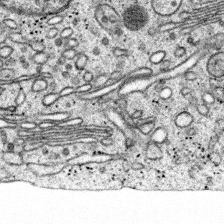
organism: Human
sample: HeLa cells